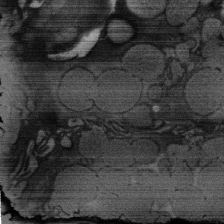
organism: Rat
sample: Salivary granule